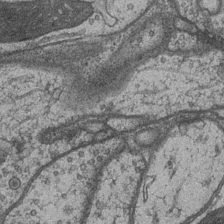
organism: Drosophila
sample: Optic medulla